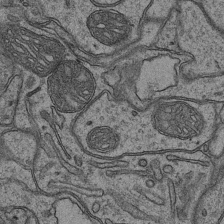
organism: Mouse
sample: CA1 Hippocampus